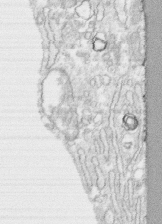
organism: Human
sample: CRL-1474